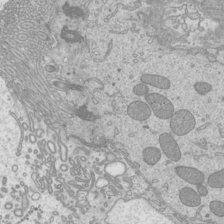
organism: Mouse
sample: Cilia; mouse epididymis